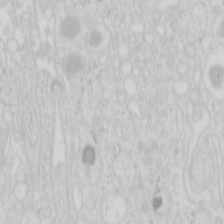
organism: Mouse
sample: Pancreas